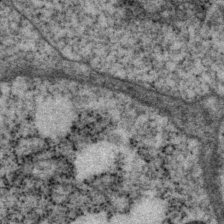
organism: P. pacificus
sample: Pharynx